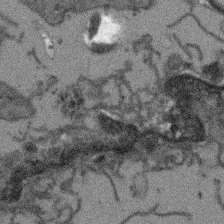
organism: Arabidopsis thaliana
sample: Root tip